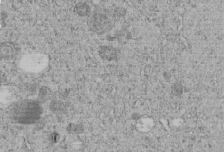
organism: C. elegans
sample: C. elegans embryo early stage